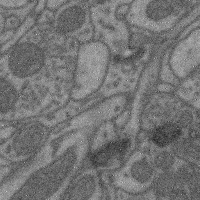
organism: Mouse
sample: Cerebral cortex